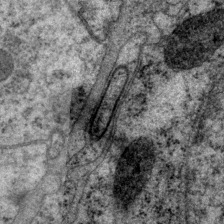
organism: P. pacificus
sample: Pharynx